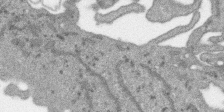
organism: Human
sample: Lung epithelial cells infected with SARS-CoV-2